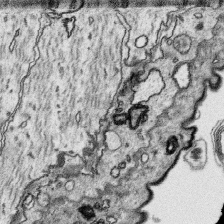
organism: Platynereis dumerilii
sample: Parapodia